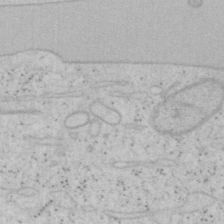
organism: Human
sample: HeLa cells